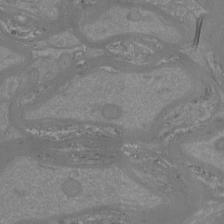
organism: Mouse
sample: Cortical neurons